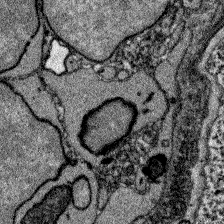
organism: Zebrafish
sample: Larval olfactory bulb